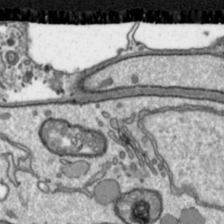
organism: Toxoplasma gondii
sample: Parasites in a vacuole inside a host cell